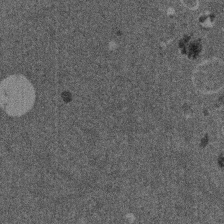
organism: Mouse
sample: Dividing mouse embryo 1 cell stage